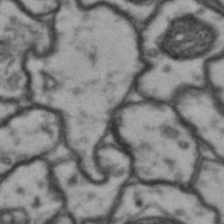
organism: Drosophila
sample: Brain